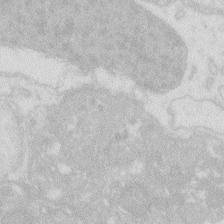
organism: Zebrafish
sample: Macrophage